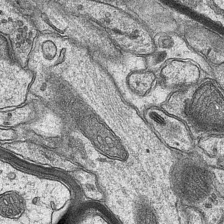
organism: Mouse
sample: CA1 Hippocampus